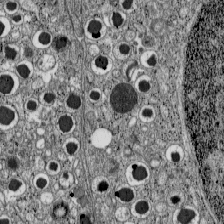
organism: C57BL Mouse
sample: Pancreatic islet